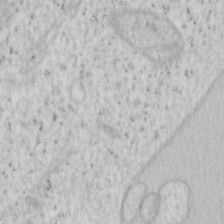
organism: Human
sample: HeLa cells